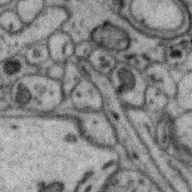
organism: Zebra finch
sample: Brain